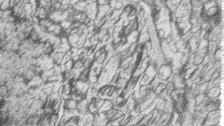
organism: Zebrafish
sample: synaptic ribbons in rod cells and cone cells